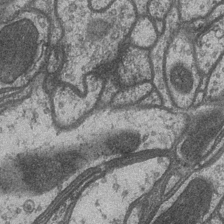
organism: Drosophila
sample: Optic medulla